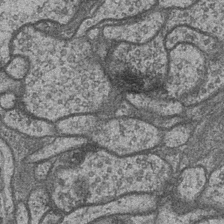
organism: Drosophila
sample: Optic medulla